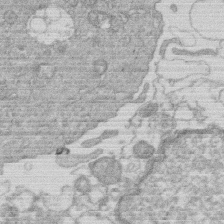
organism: Human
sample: Macrophage cells